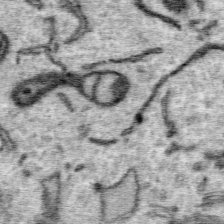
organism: Human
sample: HeLa cells